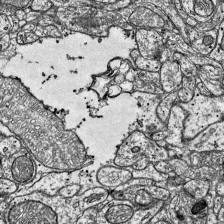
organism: Mouse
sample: Visual Cortex